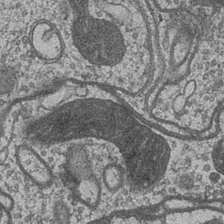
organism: Drosophila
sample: Optic medulla